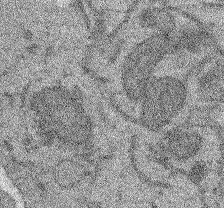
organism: Human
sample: HeLa cells